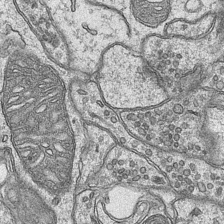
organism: Mouse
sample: CA1 Hippocampus